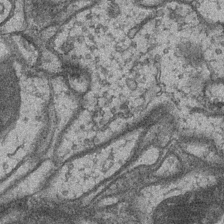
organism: Drosophila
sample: Optic medulla